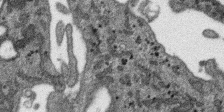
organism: Human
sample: Lung epithelial cells infected with SARS-CoV-2